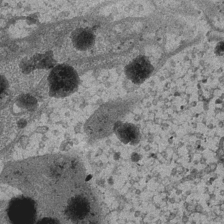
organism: Drosophila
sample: Optic medulla